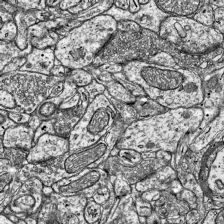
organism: Mouse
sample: Visual Cortex